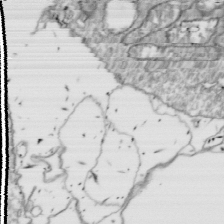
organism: Drosophila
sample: Cell division; meiosis; drosophila spermatocytes